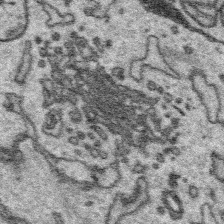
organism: Platynereis dumerilii